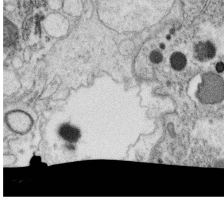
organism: C. elegans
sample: C. elegans oocyte; sperm cells